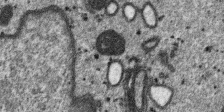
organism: Human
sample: Lung epithelial cells infected with SARS-CoV-2